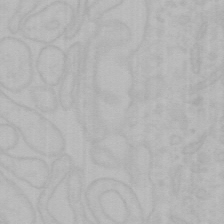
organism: Mouse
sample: Choroid plexus